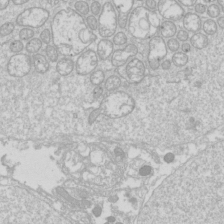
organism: Drosophila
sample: Cell division; meiosis; drosophila spermatocytes